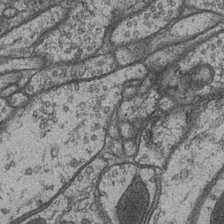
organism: Drosophila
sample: Optic medulla